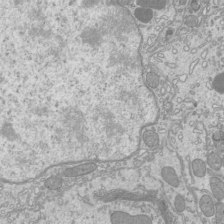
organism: Mouse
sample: Cilia; mouse epididymis